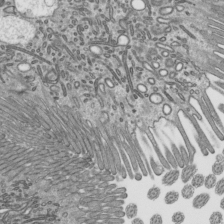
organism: Mouse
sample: Mouse epididymis efferent ductule cilia